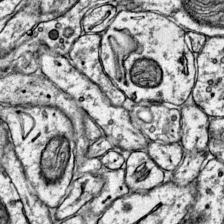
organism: Mouse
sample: Primary visual cortex